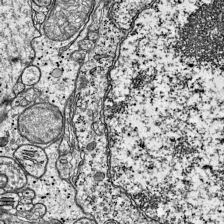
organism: Mouse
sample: Visual Cortex